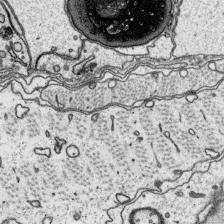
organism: Platynereis dumerilii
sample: Parapodia